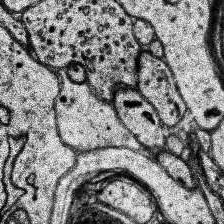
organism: Human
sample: Temporal Lobe